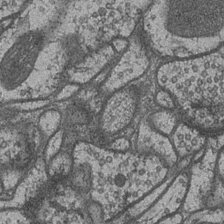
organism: Drosophila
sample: Optic medulla